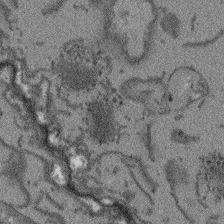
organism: Arabidopsis thaliana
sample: Root tip